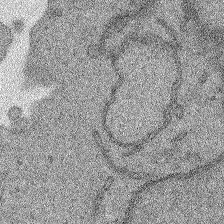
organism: Human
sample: HeLa cells